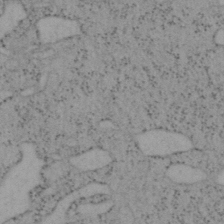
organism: Mouse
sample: OT-I killer T cells with ID8 ovarian cancer cells